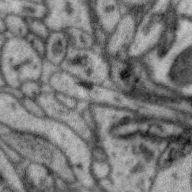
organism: Zebra finch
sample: Brain